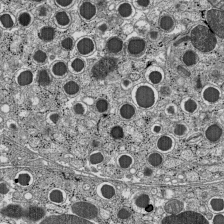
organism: C57BL Mouse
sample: Pancreatic islet